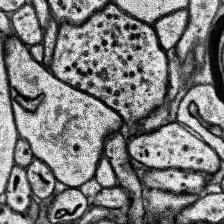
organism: Human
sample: Temporal Lobe